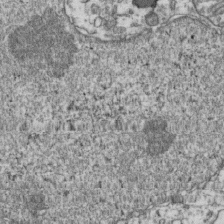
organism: Human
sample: Activated Jurkat CD4+ T cells